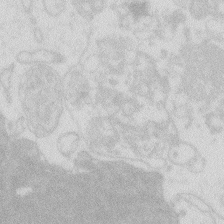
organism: Zebrafish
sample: Macrophage